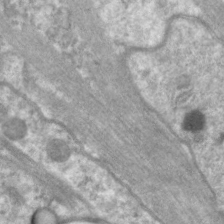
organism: C. elegans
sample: Pharynx